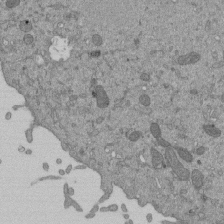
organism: Mouse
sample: ED-1 cell nuclei; centrioles